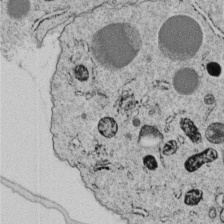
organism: C. elegans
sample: C. elegans embryo early stage